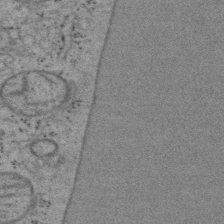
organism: Human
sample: HeLa cells